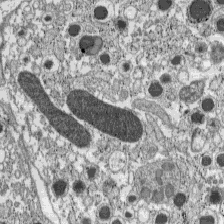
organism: C57BL Mouse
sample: Pancreatic islet